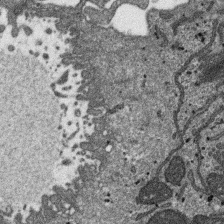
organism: Human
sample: Lung epithelial cells infected with SARS-CoV-2